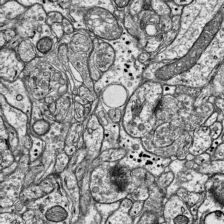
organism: Mouse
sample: Visual Cortex